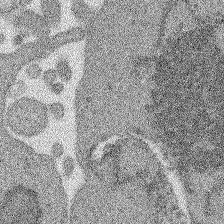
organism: Human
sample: HeLa cells